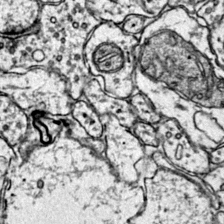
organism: Mouse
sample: Primary visual cortex